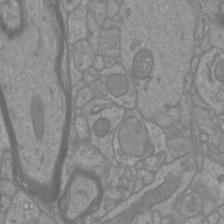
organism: Mouse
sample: Cortical neurons